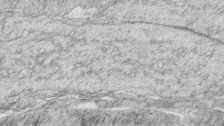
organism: Zebrafish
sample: synaptic ribbons in rod cells and cone cells